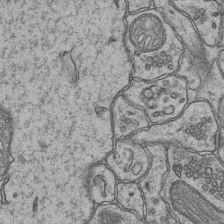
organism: Mouse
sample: CA1 Hippocampus